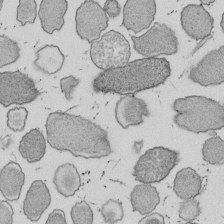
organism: E. coli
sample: Bacterial nucleoid